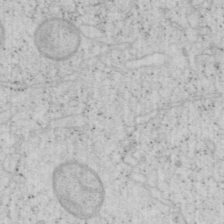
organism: Human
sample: HeLa cells